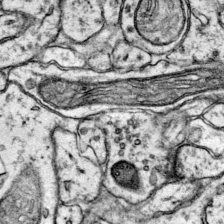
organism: Mouse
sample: Primary visual cortex